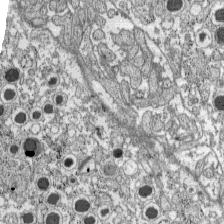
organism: C57BL Mouse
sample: Pancreatic islet